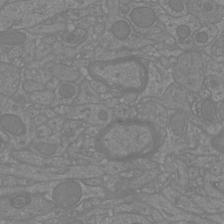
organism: Mouse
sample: Cortical neurons